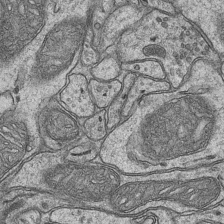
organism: Mouse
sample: CA1 Hippocampus